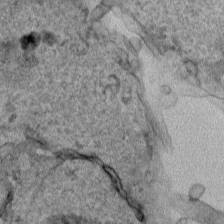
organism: Human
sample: Mitochondria in HCT116 cells